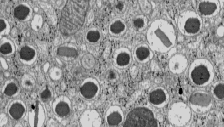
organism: C57BL Mouse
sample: Pancreatic islet